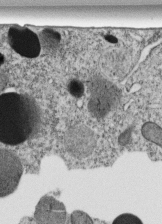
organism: C. elegans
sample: C. elegans embryo early stage